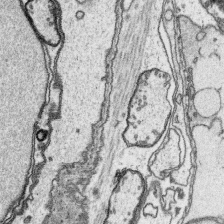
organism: Platynereis dumerilii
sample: Parapodia